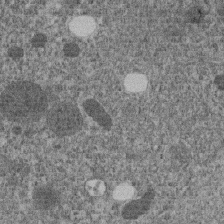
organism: C. elegans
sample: C. elegans embryo early stage